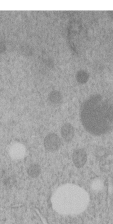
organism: C. elegans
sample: C. elegans embryo early stage